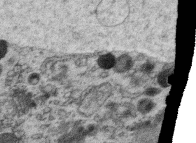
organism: C. elegans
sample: C. elegans oocyte; sperm cells